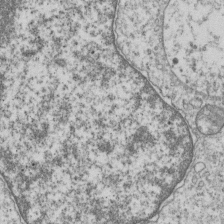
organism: Human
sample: MDA-MB-231 cells